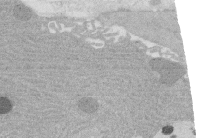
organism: Rat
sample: Salivary granule